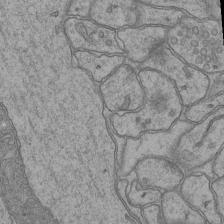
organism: Mouse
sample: CA1 Hippocampus